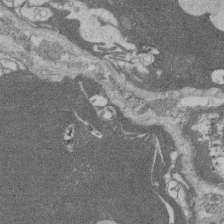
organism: Rat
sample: Salivary granule